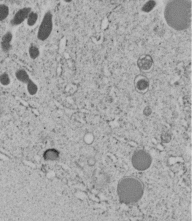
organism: C. elegans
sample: C. elegans embryo early stage